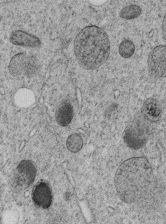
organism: C. elegans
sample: C. elegans embryo early stage